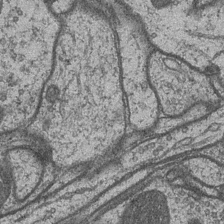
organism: Drosophila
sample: Optic medulla